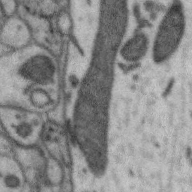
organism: Zebra finch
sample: Brain